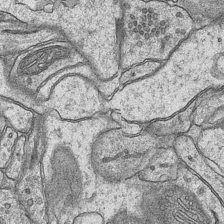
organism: Mouse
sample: CA1 Hippocampus